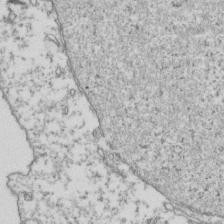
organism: Human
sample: Activated Jurkat CD4+ T cells